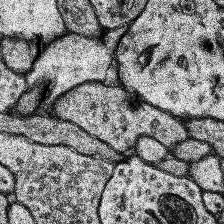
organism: Human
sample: Temporal Lobe